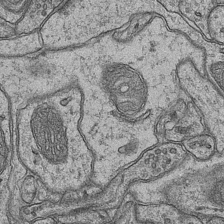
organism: Mouse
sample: CA1 Hippocampus